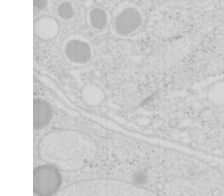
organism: Mouse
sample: Pancreas